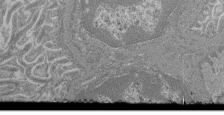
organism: Mouse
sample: Glomerulus